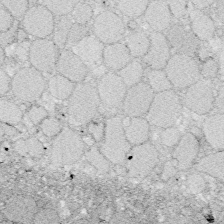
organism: Zebrafish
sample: Whole-Brain